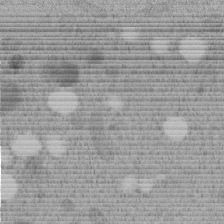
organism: C. elegans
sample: C. elegans embryo early stage